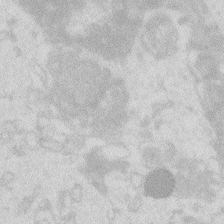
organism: Zebrafish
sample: Macrophage